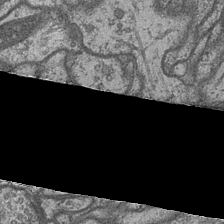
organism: Drosophila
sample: Optic medulla